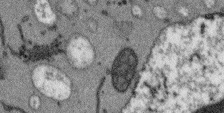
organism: Arabidopsis thaliana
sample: Root tip